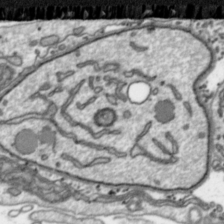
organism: Toxoplasma gondii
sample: Parasites in a vacuole inside a host cell